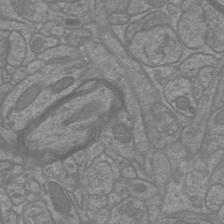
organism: Mouse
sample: Cortical neurons